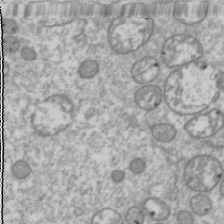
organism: Drosophila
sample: Cell division; meiosis; drosophila spermatocytes